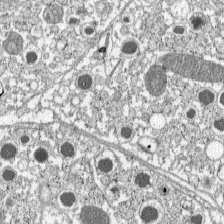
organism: C57BL Mouse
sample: Pancreatic islet